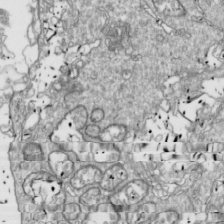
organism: Drosophila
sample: Cell division; meiosis; drosophila spermatocytes